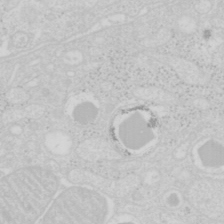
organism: Mouse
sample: Pancreas